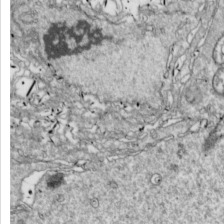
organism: Drosophila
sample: Cell division; meiosis; drosophila spermatocytes